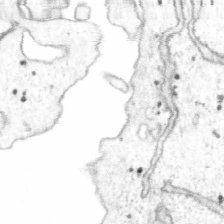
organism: Human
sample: HeLa cells